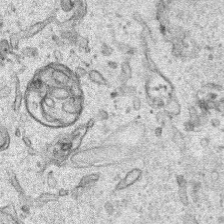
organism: Human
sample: Mitochondria in HCT116 cells